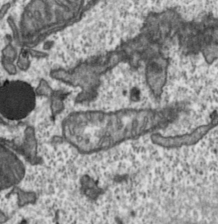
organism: Toxoplasma gondii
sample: Parasites in a vacuole inside a host cell